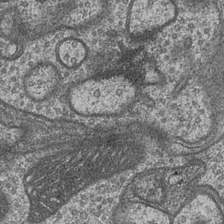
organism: Drosophila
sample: Optic medulla